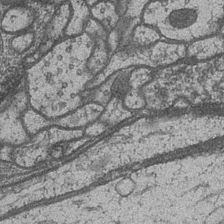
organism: Drosophila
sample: Optic medulla